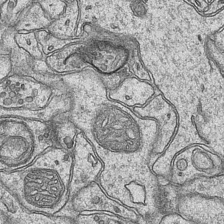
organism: Mouse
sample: CA1 Hippocampus